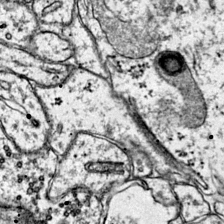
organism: Mouse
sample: Primary visual cortex